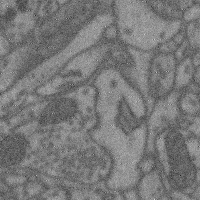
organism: Mouse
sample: Cerebral cortex